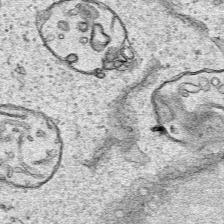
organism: Human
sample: Mitochondria in HCT116 cells